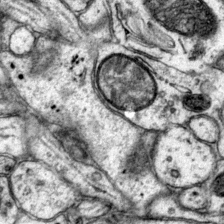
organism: Mouse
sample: Primary visual cortex